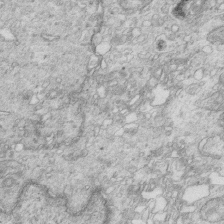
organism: Mouse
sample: Multiciliated cells